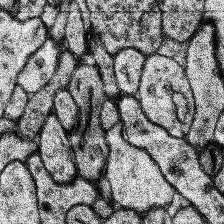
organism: Human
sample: Temporal Lobe